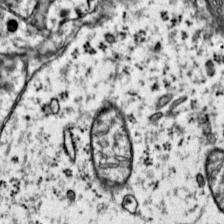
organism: Mouse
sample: Primary visual cortex